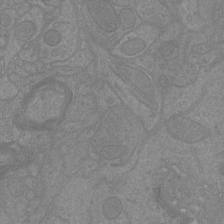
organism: Mouse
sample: Cortical neurons